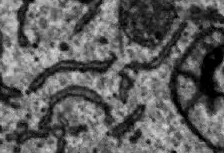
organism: Human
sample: HeLa cells